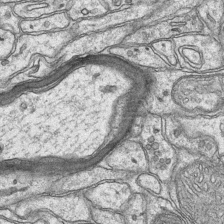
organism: Mouse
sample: CA1 Hippocampus